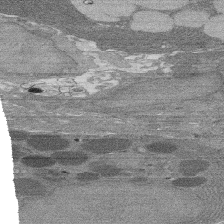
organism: Rat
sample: Salivary granule